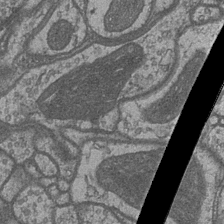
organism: Drosophila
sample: Optic medulla